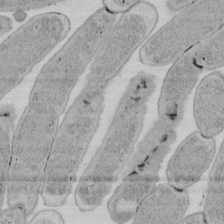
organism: E. coli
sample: Bacterial nucleoid